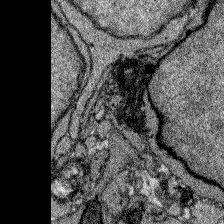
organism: Zebrafish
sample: Larval olfactory bulb